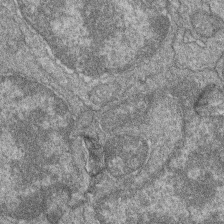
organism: Zebrafish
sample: Cilia; retinal pigment epithelium